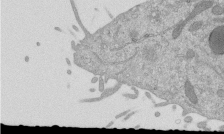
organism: Mouse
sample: ED-1 cell nuclei; centrioles